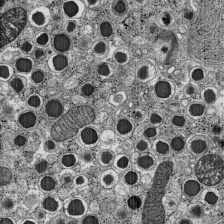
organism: C57BL Mouse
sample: Pancreatic islet